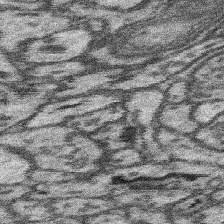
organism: Mouse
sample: Somatosensory cortex neuropil